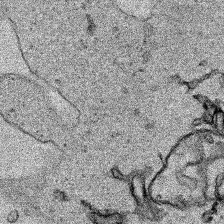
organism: Human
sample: Mitochondria in HCT116 cells